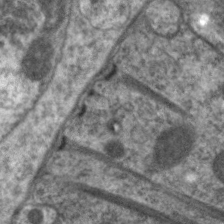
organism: C. elegans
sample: Pharynx